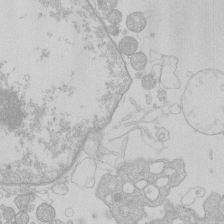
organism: Human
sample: Macrophage cells